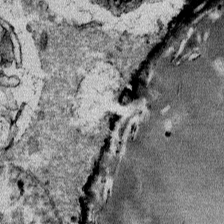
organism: Mouse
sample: Mouse Salivary gland